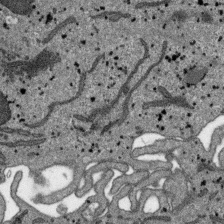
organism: Human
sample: Lung epithelial cells, uninfected (mock) control